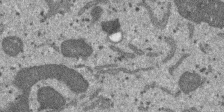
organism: Human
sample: Lung epithelial cells infected with SARS-CoV-2